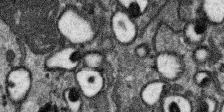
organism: Human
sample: Lung epithelial cells infected with SARS-CoV-2